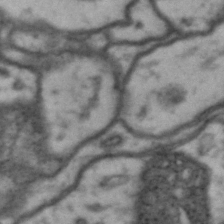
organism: Drosophila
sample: Brain